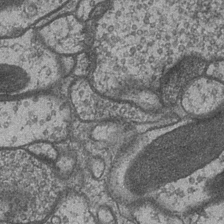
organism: Drosophila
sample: Optic medulla